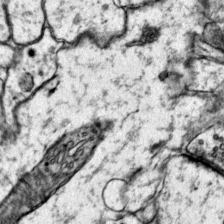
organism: Mouse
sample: Primary visual cortex